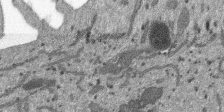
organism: Human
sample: Lung epithelial cells infected with SARS-CoV-2